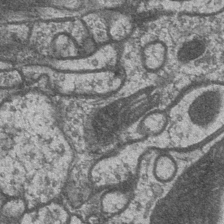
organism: Drosophila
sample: Optic medulla